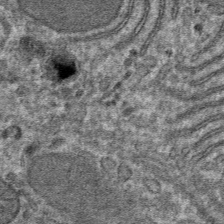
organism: Mouse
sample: Mouse hepatocytes